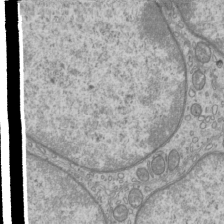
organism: Mouse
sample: Cilia; mouse epididymis